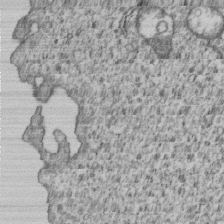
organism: Human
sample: MDA-MB-231 cells